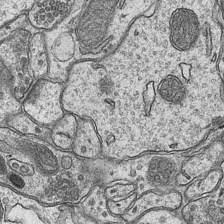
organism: Mouse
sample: CA1 Hippocampus